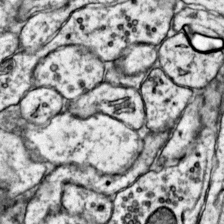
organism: Mouse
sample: Primary visual cortex